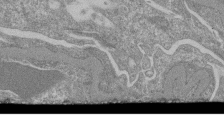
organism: Mouse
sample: Glomerulus